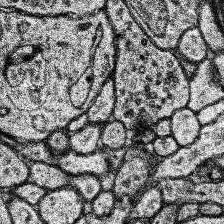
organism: Human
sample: Temporal Lobe